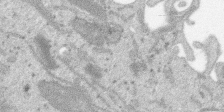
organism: Human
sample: Lung epithelial cells infected with SARS-CoV-2